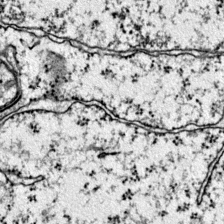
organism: Mouse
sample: Primary visual cortex